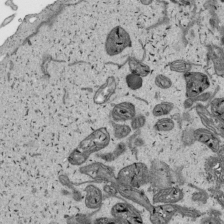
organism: Human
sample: Mitochondria in HCT116 cells